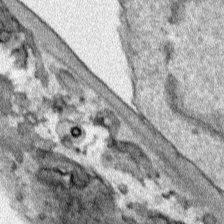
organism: Human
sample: Mitochondria in HCT116 cells